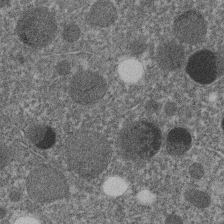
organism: C. elegans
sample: C. elegans embryo early stage